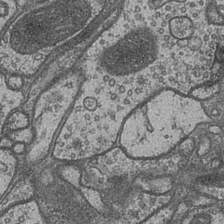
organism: Drosophila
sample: Optic medulla